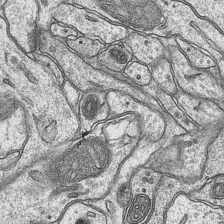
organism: Mouse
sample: CA1 Hippocampus